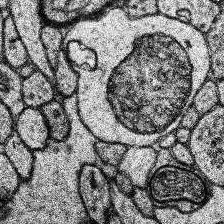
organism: Human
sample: Temporal Lobe